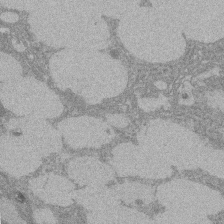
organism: Rat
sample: Salivary granule